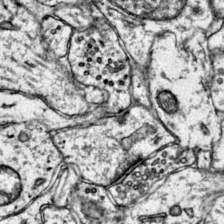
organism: Mouse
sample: Primary visual cortex